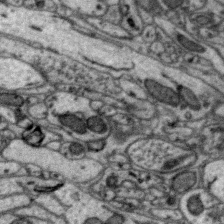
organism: Zebra finch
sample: Brain